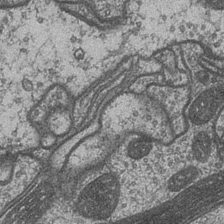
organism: Drosophila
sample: Optic medulla